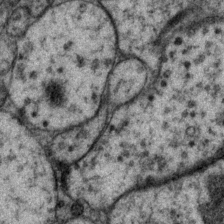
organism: P. pacificus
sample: Pharynx